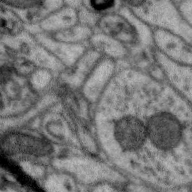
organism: Zebra finch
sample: Brain